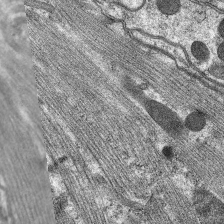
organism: C. elegans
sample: Pharynx